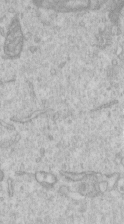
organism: Human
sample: Centriole in RPE cells